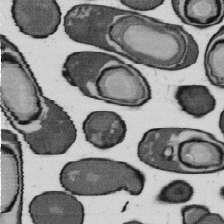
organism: B. subtilis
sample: Bacterial spore